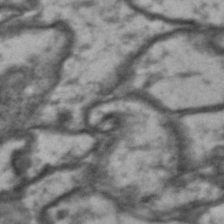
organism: Drosophila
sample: Brain